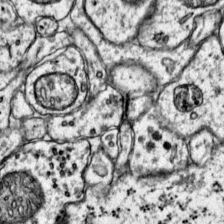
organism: Mouse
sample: Primary visual cortex